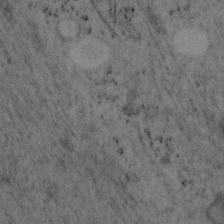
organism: Human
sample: HeLa cells